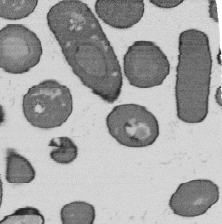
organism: B. subtilis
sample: Bacterial spore